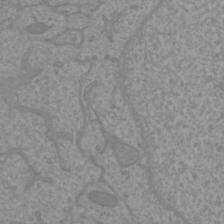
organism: Mouse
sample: Cortical neurons